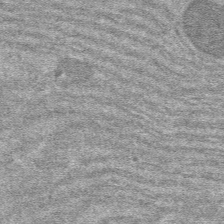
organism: Mouse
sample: Mouse hepatocytes